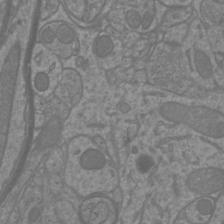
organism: Mouse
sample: Cortical neurons